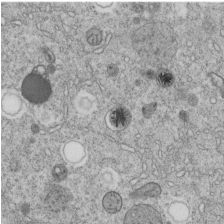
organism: C. elegans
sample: C. elegans embryo early stage